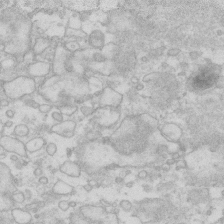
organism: Human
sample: Fibroblast cells